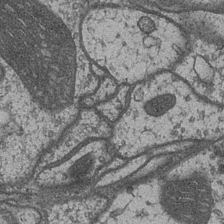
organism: Drosophila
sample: Optic medulla